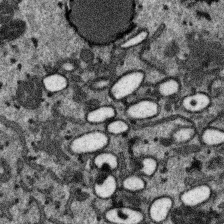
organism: Human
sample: Lung epithelial cells infected with SARS-CoV-2